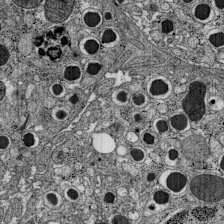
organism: C57BL Mouse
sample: Pancreatic islet